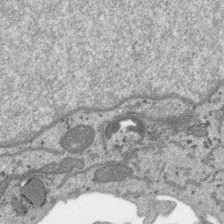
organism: Human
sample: Lung epithelial cells infected with SARS-CoV-2